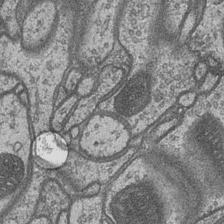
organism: Drosophila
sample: Optic medulla